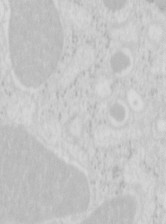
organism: Mouse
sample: Pancreas